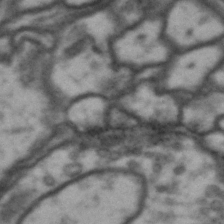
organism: Drosophila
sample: Brain